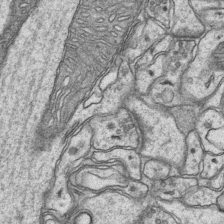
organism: Mouse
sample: CA1 Hippocampus